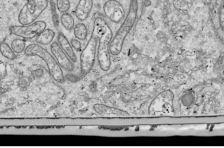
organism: Drosophila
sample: Cell division; meiosis; drosophila spermatocytes